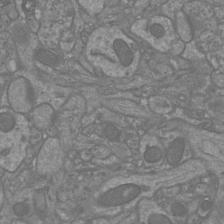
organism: Mouse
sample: Cortical neurons